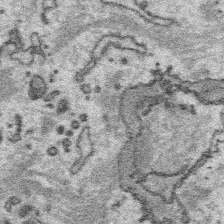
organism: Platynereis dumerilii